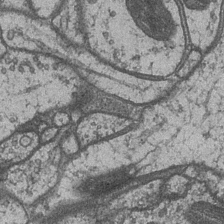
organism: Drosophila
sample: Optic medulla